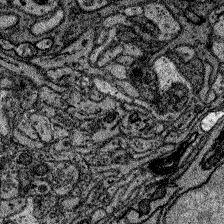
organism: Zebrafish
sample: Larval olfactory bulb